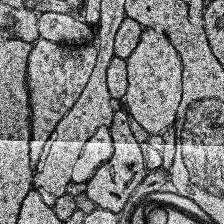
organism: Human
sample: Temporal Lobe